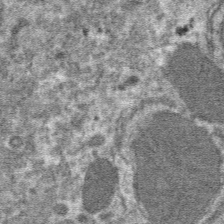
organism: Mouse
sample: Mouse hepatocytes